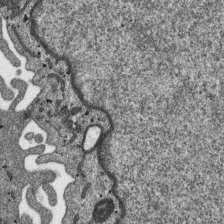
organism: Human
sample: Lung epithelial cells infected with SARS-CoV-2